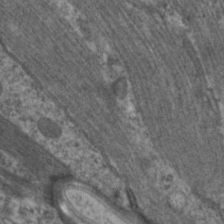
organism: C. elegans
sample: Pharynx